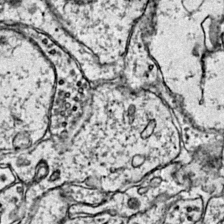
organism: Mouse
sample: Primary visual cortex